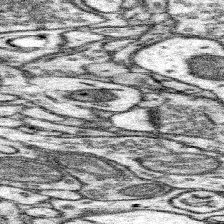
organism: Mouse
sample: Somatosensory cortex neuropil